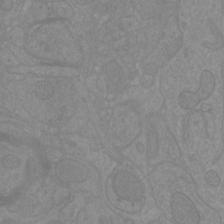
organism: Mouse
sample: Cortical neurons